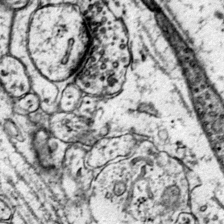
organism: Mouse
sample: Primary visual cortex